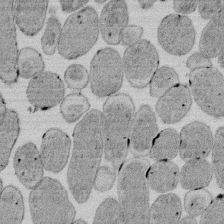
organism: E. coli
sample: Bacterial nucleoid